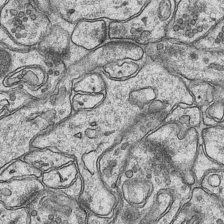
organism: Mouse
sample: CA1 Hippocampus